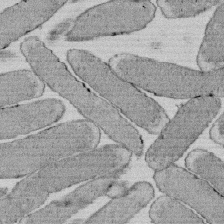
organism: E. coli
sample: Bacterial nucleoid